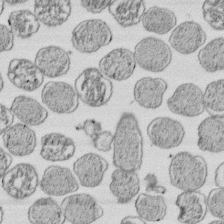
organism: E. coli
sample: Bacterial nucleoid